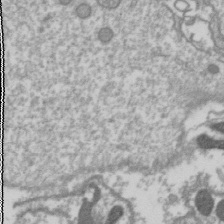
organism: Drosophila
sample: Cell division; meiosis; drosophila spermatocytes